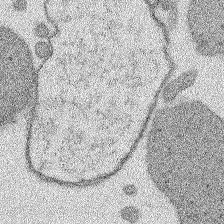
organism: Human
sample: HeLa cells